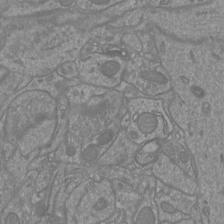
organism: Mouse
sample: Cortical neurons